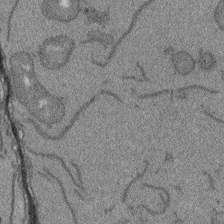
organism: Arabidopsis thaliana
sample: Root tip